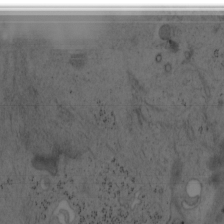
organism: Mouse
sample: OT-I killer T cells with ID8 ovarian cancer cells